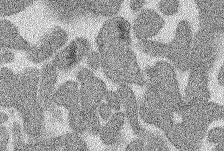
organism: Human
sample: HeLa cells